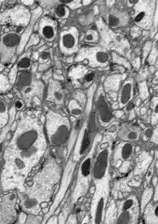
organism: Drosophila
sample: Optic lobe